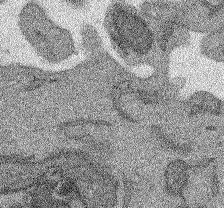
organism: Human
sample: HeLa cells